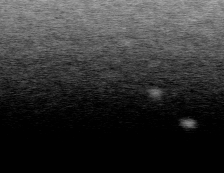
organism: Human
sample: HeLa cells